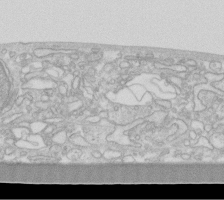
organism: Human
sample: Fibroblast cells